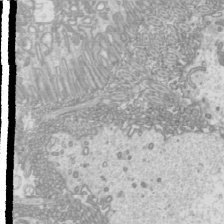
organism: Mouse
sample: Cilia; mouse epididymis